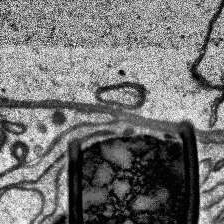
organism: Human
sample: Temporal Lobe